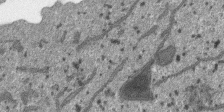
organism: Human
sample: Lung epithelial cells infected with SARS-CoV-2